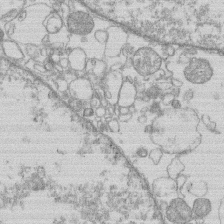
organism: Human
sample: Macrophage cells